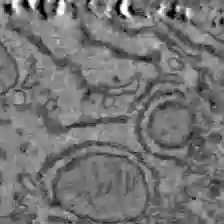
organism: C57BL Mouse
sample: Liver